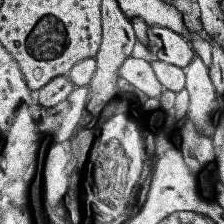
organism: Human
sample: Temporal Lobe